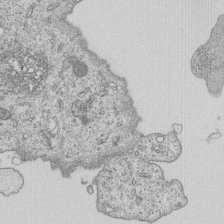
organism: Human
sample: MDA-MB-231 cells